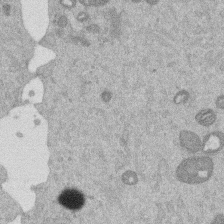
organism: Mouse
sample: Dividing mouse embryo 1 cell stage